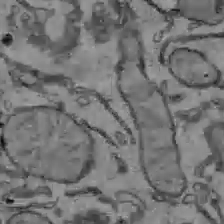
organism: C57BL Mouse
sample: Liver